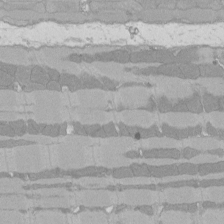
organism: Rat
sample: Left ventricle